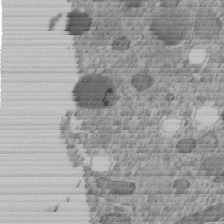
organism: C. elegans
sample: C. elegans embryo early stage